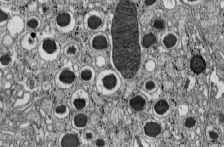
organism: C57BL Mouse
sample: Pancreatic islet